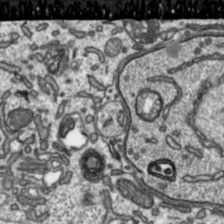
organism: Toxoplasma gondii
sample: Parasites in a vacuole inside a host cell